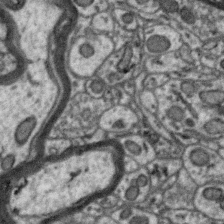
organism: Zebra finch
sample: Brain